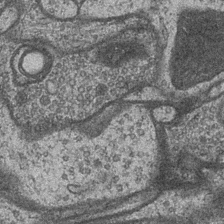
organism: Drosophila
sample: Optic medulla